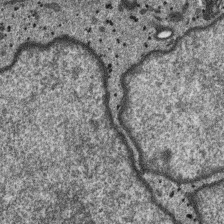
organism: Human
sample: Lung epithelial cells infected with SARS-CoV-2